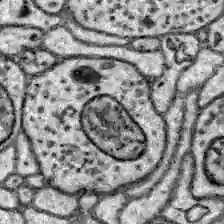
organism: Zebrafish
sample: Brain